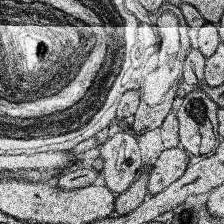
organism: Human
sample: Temporal Lobe